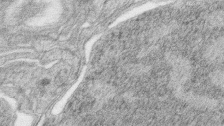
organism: Zebrafish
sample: synaptic ribbons in rod cells and cone cells